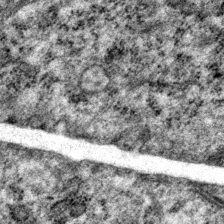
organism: P. pacificus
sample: Pharynx